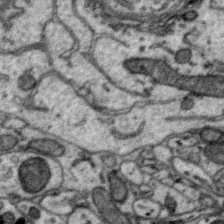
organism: Zebra finch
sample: Brain